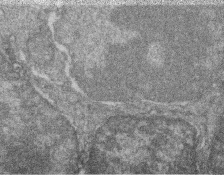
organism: Zebrafish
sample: Cilia; retinal pigment epithelium